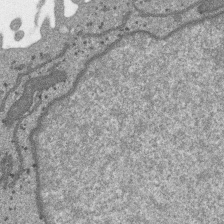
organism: Human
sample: Lung epithelial cells infected with SARS-CoV-2